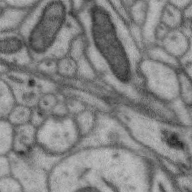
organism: Zebra finch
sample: Brain